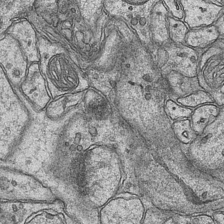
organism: Mouse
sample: CA1 Hippocampus